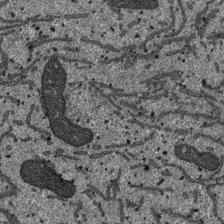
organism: Human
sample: Lung epithelial cells infected with SARS-CoV-2